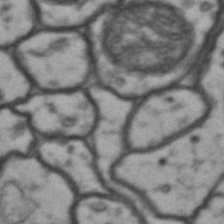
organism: Drosophila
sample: Brain